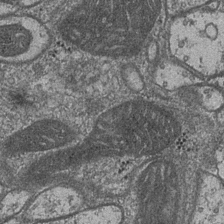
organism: Drosophila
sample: Optic medulla